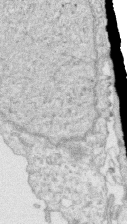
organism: Human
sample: HeLa cell HIV synapse